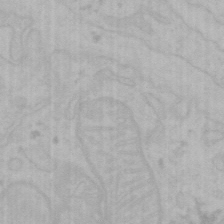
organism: Mouse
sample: Choroid plexus